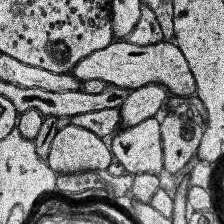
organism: Human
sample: Temporal Lobe